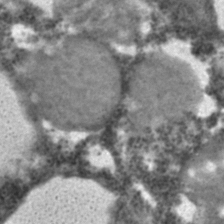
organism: C. elegans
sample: C. elegans embryo